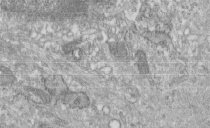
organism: Human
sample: Centriole in fibroblast cells